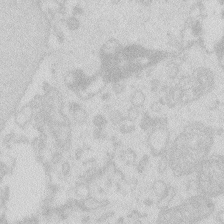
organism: Zebrafish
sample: Macrophage